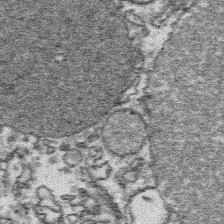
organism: Platynereis dumerilii